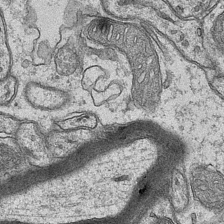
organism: Mouse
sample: CA1 Hippocampus